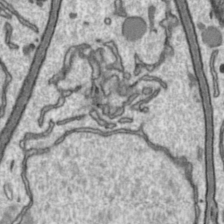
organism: Toxoplasma gondii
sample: Parasites in a vacuole inside a host cell